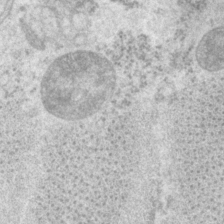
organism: P. pacificus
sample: Pharynx